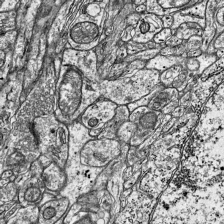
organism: Mouse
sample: Visual Cortex